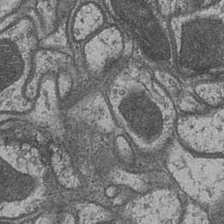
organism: Drosophila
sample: Optic medulla